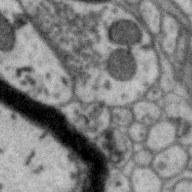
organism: Zebra finch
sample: Brain